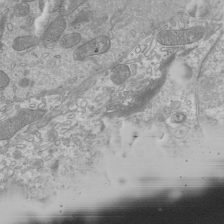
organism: Mouse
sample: Cilia; mouse epididymis